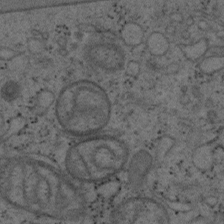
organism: Human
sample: HeLa cells